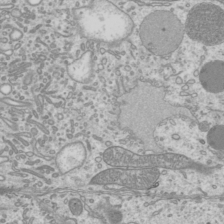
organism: Mouse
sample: Cilia; mouse epididymis